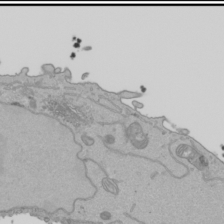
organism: Human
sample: Mitochondria in HCT116 cells